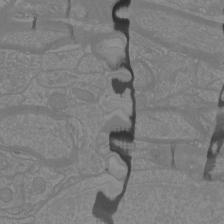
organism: Mouse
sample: Cortical neurons